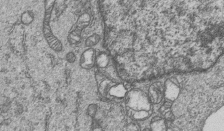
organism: Human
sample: MDA-MB-231 cells